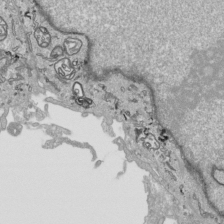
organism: Human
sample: Mitochondria in HCT116 cells